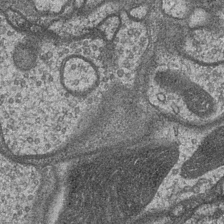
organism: Drosophila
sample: Optic medulla